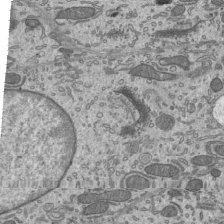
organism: Mouse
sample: Mouse epididymis efferent ductule cilia